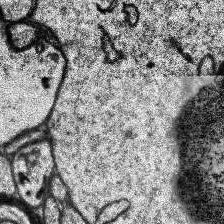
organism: Human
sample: Temporal Lobe